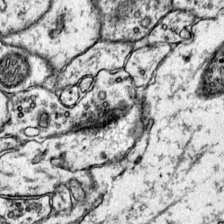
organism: Mouse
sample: Primary visual cortex